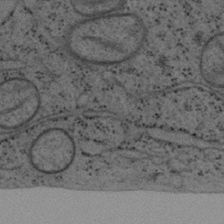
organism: Human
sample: HeLa cells